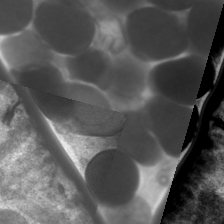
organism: C. elegans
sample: Pharynx